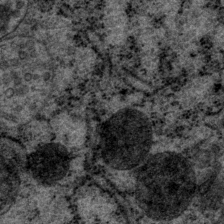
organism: P. pacificus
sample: Pharynx